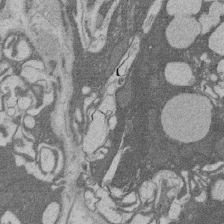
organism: Rat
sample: Salivary granule